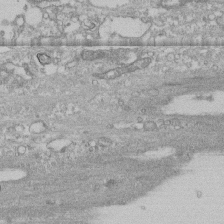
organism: Human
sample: CRL-1474